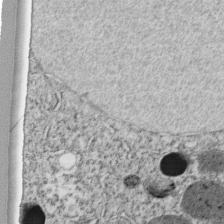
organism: C. elegans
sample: C. elegans embryo early stage